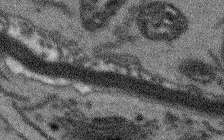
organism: Arabidopsis thaliana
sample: Root tip